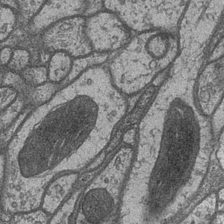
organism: Drosophila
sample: Optic medulla